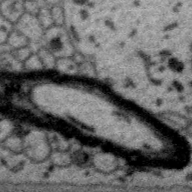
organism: Zebra finch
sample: Brain